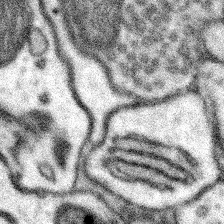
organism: Mouse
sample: Somatosensory cortex neuropil